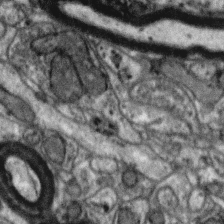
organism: Zebra finch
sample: Brain